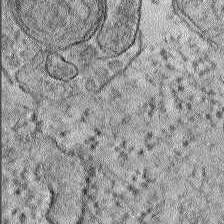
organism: Human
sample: HeLa cells